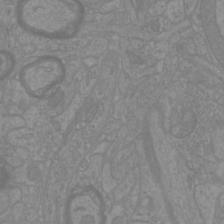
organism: Mouse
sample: Cortical neurons